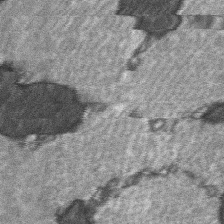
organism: C57BL Mouse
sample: Soleus